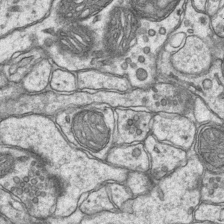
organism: Mouse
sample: CA1 Hippocampus